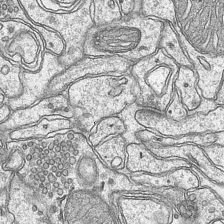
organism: Mouse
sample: CA1 Hippocampus